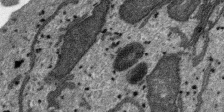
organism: Human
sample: Lung epithelial cells, uninfected (mock) control